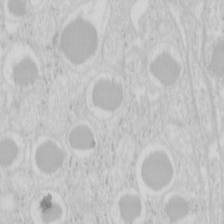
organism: Mouse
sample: Pancreas